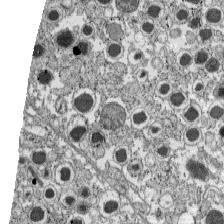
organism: C57BL Mouse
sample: Pancreatic islet